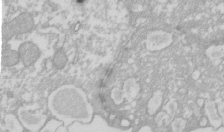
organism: Xenopus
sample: Cilia; centrioles in frog embryo cells